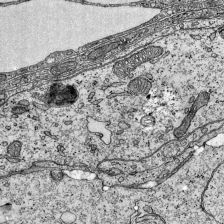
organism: Mouse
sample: Visual Cortex